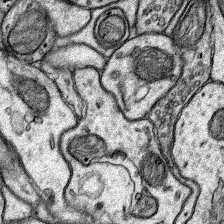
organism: Rat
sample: Hippocampus